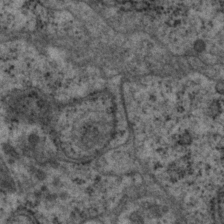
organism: P. pacificus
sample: Pharynx